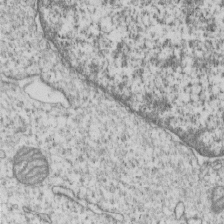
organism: Human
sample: MDA-MB-231 cells